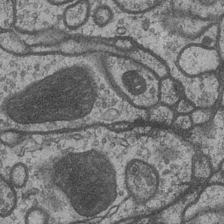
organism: Drosophila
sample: Optic medulla